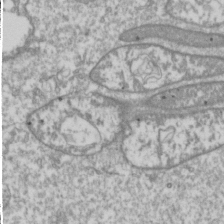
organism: Drosophila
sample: Cell division; meiosis; drosophila spermatocytes